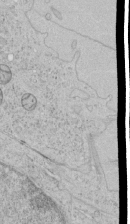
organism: Human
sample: Mitochondria in HCT116 cells